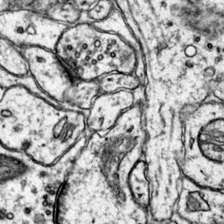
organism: Mouse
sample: Primary visual cortex